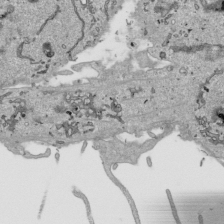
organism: Human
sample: Mitochondria in HCT116 cells